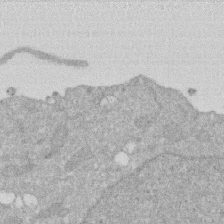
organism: Human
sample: HIV infected U937 cells